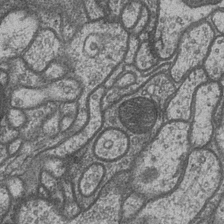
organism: Drosophila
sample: Optic medulla